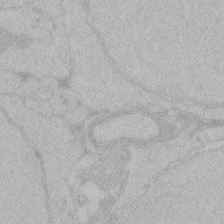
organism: Zebrafish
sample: Macrophage infected with Toxoplasma gondii